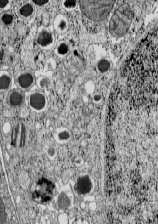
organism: C57BL Mouse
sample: Pancreatic islet